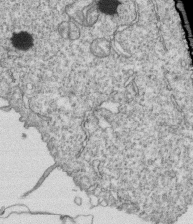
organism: Human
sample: HeLa cell HIV synapse